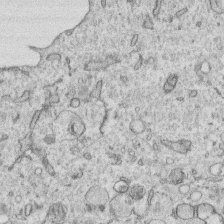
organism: Human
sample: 1205lu cells